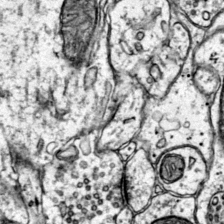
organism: Mouse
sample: Primary visual cortex